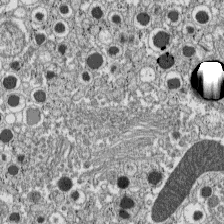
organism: C57BL Mouse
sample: Pancreatic islet